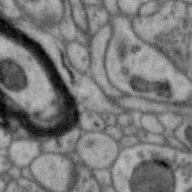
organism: Zebra finch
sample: Brain